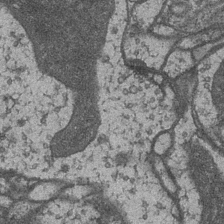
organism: Drosophila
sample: Optic medulla